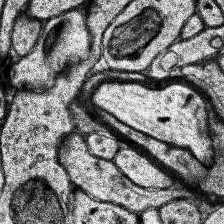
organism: Human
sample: Temporal Lobe